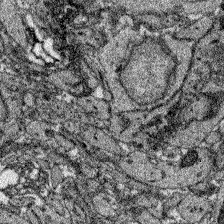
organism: Zebrafish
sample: Larval olfactory bulb